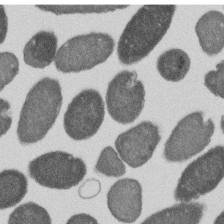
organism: E. coli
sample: Bacterial nucleoid